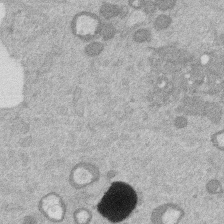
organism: Mouse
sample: Dividing mouse embryo 1 cell stage